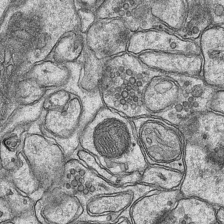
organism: Mouse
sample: CA1 Hippocampus